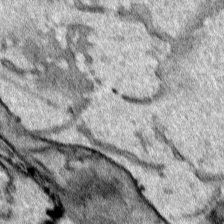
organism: Human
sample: Mitochondria in HCT116 cells